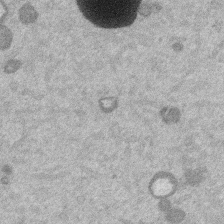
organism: Mouse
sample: Dividing mouse embryo 1 cell stage